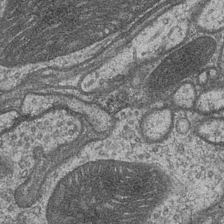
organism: Drosophila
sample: Optic medulla